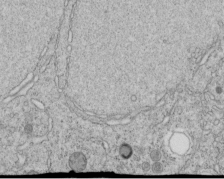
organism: C. elegans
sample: C. elegans embryo early stage